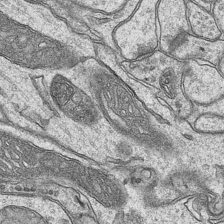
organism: Mouse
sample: CA1 Hippocampus